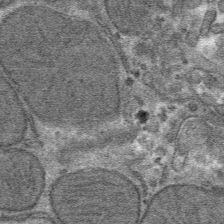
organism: Mouse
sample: Mouse hepatocytes